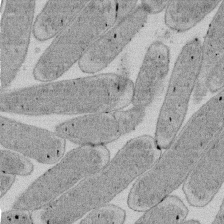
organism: E. coli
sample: Bacterial nucleoid